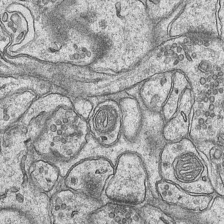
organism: Mouse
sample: CA1 Hippocampus